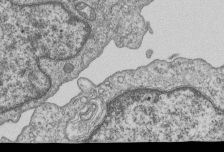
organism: Human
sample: MDA-MB-231 cells